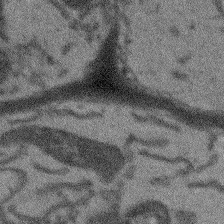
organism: Arabidopsis thaliana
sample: Root tip